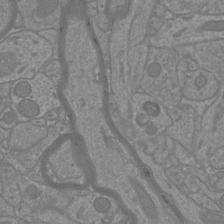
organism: Mouse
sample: Cortical neurons